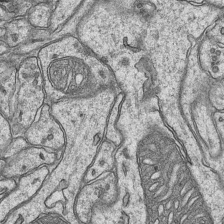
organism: Mouse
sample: CA1 Hippocampus